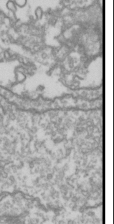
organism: Drosophila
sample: Cell division; meiosis; drosophila spermatocytes